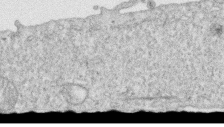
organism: Human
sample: HeLa cell HIV synapse